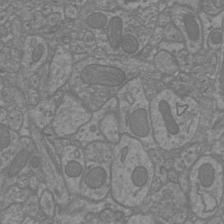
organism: Mouse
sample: Cortical neurons